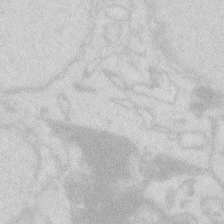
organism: Zebrafish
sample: Macrophage